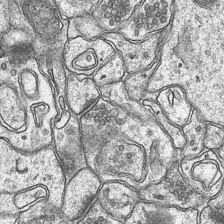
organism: Mouse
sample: CA1 Hippocampus